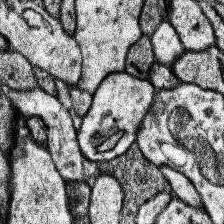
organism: Human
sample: Temporal Lobe